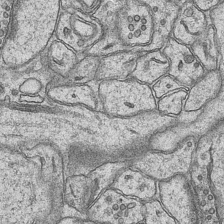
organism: Mouse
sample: CA1 Hippocampus